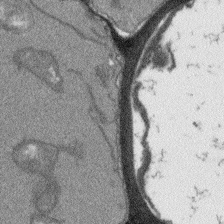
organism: Arabidopsis thaliana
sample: Root tip